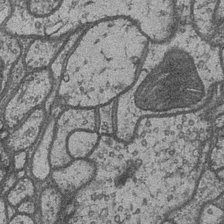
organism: Drosophila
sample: Optic medulla